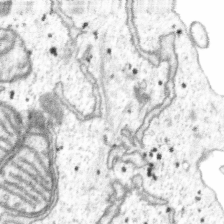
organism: Human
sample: HeLa cells